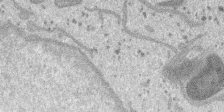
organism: Human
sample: Lung epithelial cells infected with SARS-CoV-2